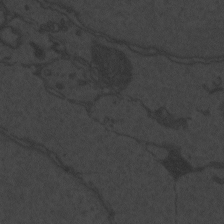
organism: Zebrafish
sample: Macrophage infected with Toxoplasma gondii